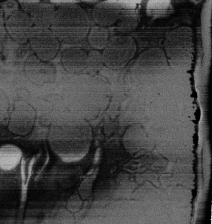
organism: Rat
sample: Salivary granule